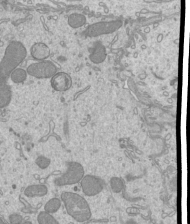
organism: Mouse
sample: Cilia; mouse epididymis